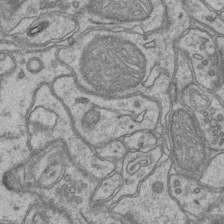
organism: Mouse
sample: CA1 Hippocampus